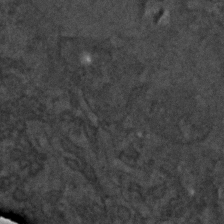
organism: C. elegans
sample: C. elegans embryo